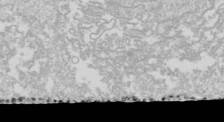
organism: Drosophila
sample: Cell division; meiosis; drosophila spermatocytes